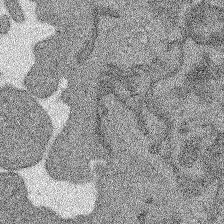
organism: Human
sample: HeLa cells